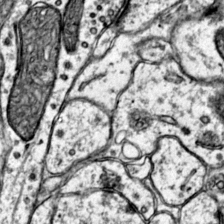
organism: Mouse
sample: Primary visual cortex